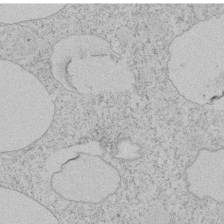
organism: Tetrahymena